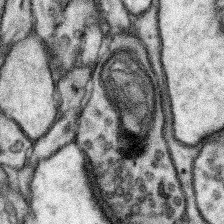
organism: Mouse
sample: Somatosensory cortex neuropil